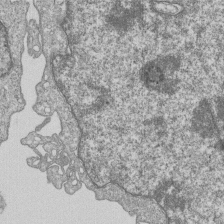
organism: Human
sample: MDA-MB-231 cells